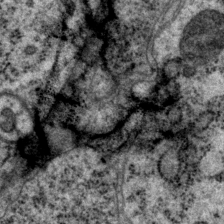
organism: P. pacificus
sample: Pharynx